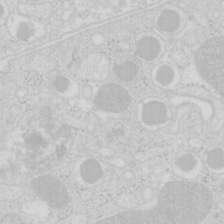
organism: Mouse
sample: Pancreas